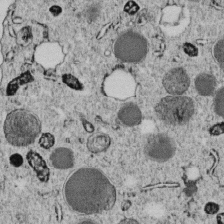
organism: C. elegans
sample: C. elegans embryo early stage